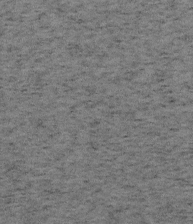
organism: Mouse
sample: OT-I killer T cells with ID8 ovarian cancer cells